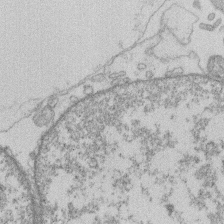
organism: Human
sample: Macrophage cells